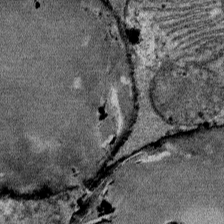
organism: Mouse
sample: Mouse Salivary gland